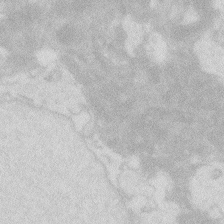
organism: Zebrafish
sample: Macrophage